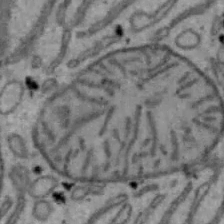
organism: Mouse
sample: Liver